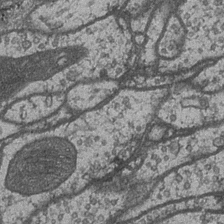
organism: Drosophila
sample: Optic medulla